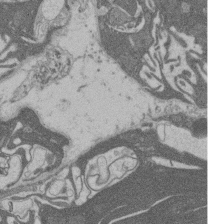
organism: Rat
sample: Salivary granule